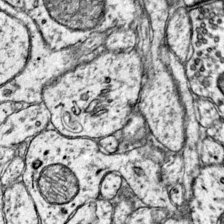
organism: Mouse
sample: Primary visual cortex